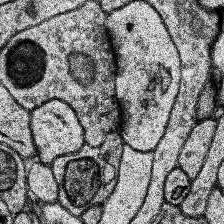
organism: Human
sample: Temporal Lobe